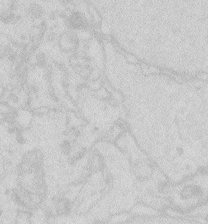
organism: Zebrafish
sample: Macrophage